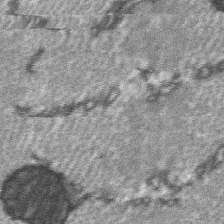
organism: C57BL Mouse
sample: Soleus